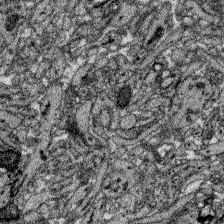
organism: Zebrafish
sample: Larval olfactory bulb